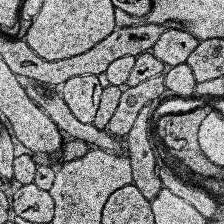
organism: Human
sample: Temporal Lobe